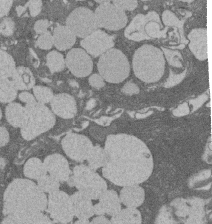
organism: Rat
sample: Salivary granule